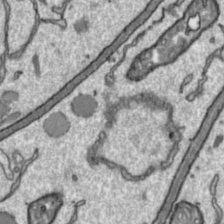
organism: Toxoplasma gondii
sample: Parasites in a vacuole inside a host cell